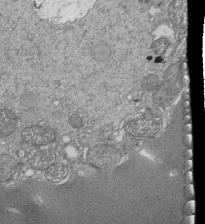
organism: Tetrahymena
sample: Cilia in tetrahymena